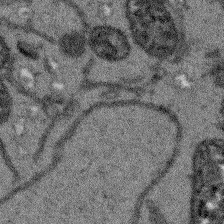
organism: Arabidopsis thaliana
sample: Root tip